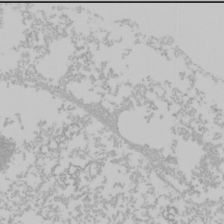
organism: Mouse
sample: Cancer cell death in ED-1 cells